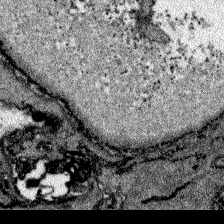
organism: Zebrafish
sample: Larval olfactory bulb